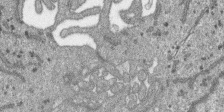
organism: Human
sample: Lung epithelial cells infected with SARS-CoV-2